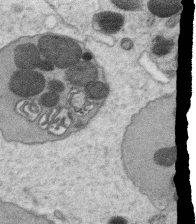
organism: C. elegans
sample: C. elegans oocyte; sperm cells